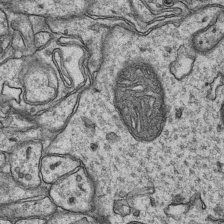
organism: Mouse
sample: CA1 Hippocampus